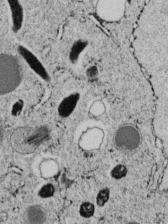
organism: C. elegans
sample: C. elegans embryo early stage